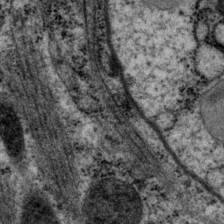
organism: P. pacificus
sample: Pharynx